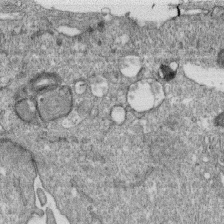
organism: African green monkey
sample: Vero E6 cells infected with SARS-CoV-2